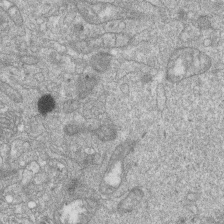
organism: Human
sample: HeLa cell HIV synapse